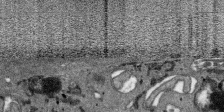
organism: Human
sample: Lung epithelial cells, uninfected (mock) control